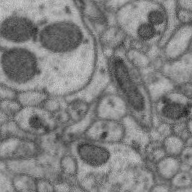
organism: Zebra finch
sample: Brain